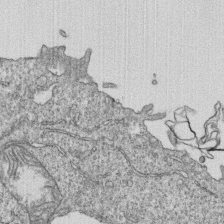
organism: Human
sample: HeLa cell HIV synapse